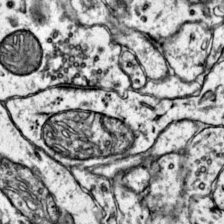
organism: Mouse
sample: Primary visual cortex